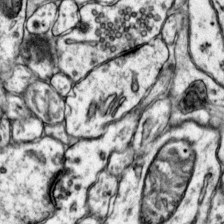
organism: Mouse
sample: Primary visual cortex